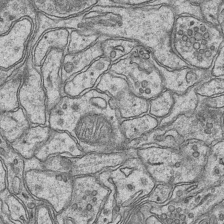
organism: Mouse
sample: CA1 Hippocampus